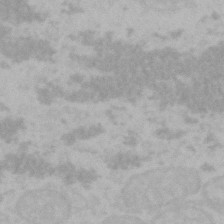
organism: Mouse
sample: Choroid plexus